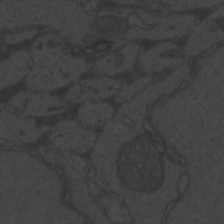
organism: Zebrafish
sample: Macrophage infected with Toxoplasma gondii